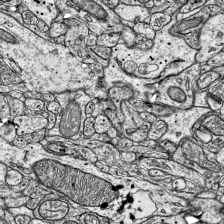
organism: Mouse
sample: Visual Cortex